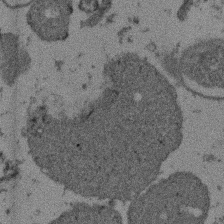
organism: Mouse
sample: Dividing mouse embryo 1 cell stage